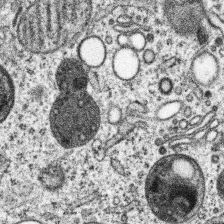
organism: Human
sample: HeLa cells